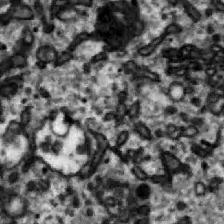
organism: Human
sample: HeLa cells